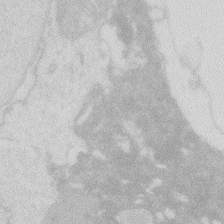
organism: Zebrafish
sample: Macrophage